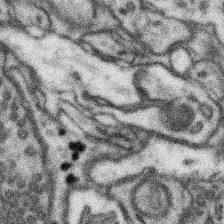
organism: Mouse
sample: Somatosensory cortex neuropil